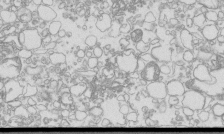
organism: Mouse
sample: Macrophages